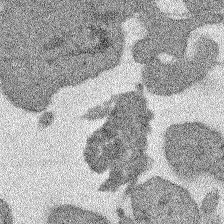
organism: Human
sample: HeLa cells